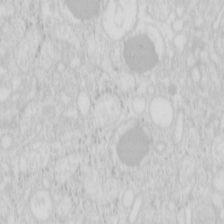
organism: Mouse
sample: Pancreas